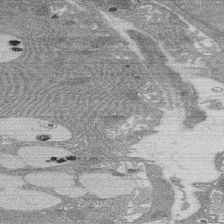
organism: Rat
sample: Salivary granule